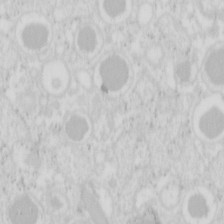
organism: Mouse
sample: Pancreas